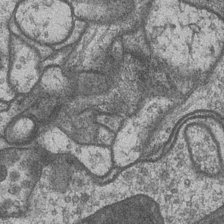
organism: Drosophila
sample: Optic medulla